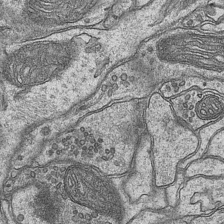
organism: Mouse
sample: CA1 Hippocampus